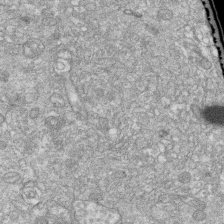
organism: Human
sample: HeLa cell HIV synapse